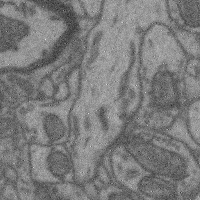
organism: Mouse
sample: Cerebral cortex